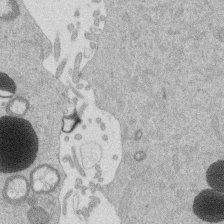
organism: Mouse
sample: Dividing mouse embryo 1 cell stage